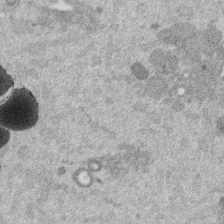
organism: Mouse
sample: Dividing mouse embryo 1 cell stage